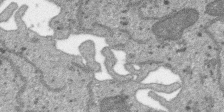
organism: Human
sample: Lung epithelial cells infected with SARS-CoV-2